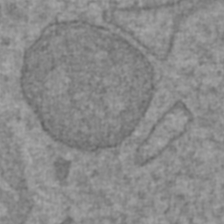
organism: Human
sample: Blood